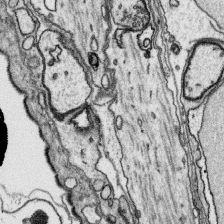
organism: Platynereis dumerilii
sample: Parapodia